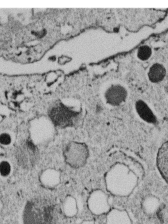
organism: C. elegans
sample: C. elegans embryo early stage